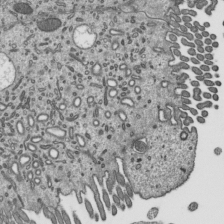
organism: Mouse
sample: Mouse epididymis efferent ductule cilia